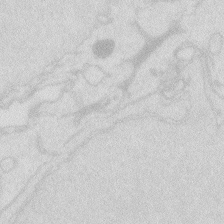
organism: Zebrafish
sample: Macrophage